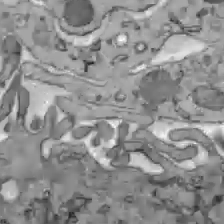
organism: C57BL Mouse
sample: Liver